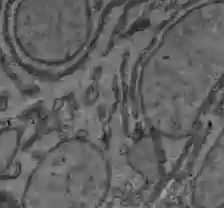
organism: C57BL Mouse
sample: Liver